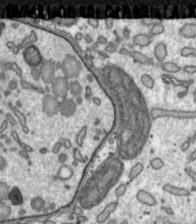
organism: Toxoplasma gondii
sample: Parasites in a vacuole inside a host cell